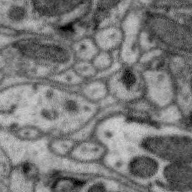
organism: Zebra finch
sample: Brain